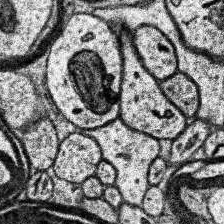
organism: Human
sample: Temporal Lobe